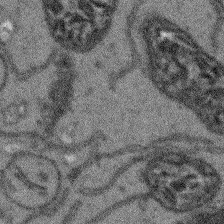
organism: Arabidopsis thaliana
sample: Root tip